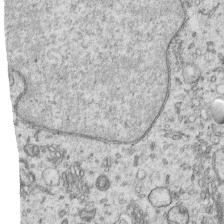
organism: Human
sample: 1205lu cells